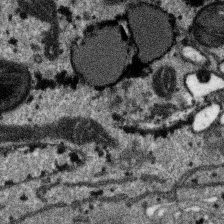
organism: Human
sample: Lung epithelial cells infected with SARS-CoV-2